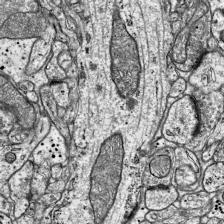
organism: Mouse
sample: Visual Cortex